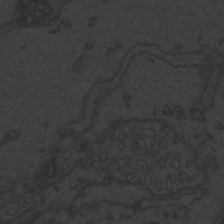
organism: Zebrafish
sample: Macrophage infected with Toxoplasma gondii